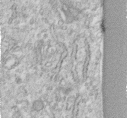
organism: Human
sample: Centriole in fibroblast cells